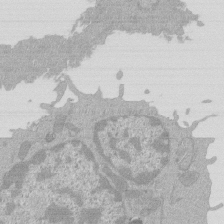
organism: Mouse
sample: Activated Pmel transgenic CD8+ T Cells